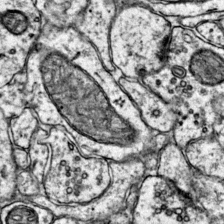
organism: Mouse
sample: Primary visual cortex